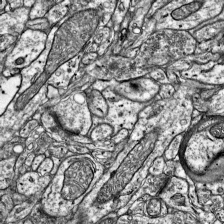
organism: Mouse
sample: Visual Cortex